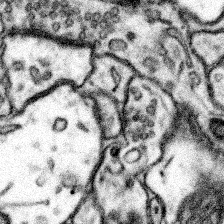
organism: Mouse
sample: Somatosensory cortex neuropil